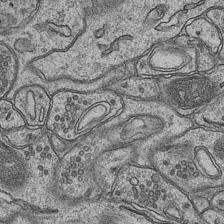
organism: Mouse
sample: CA1 Hippocampus